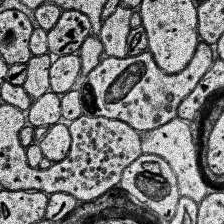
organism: Human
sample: Temporal Lobe